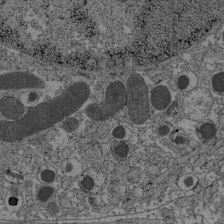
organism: C57BL Mouse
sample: Pancreatic islet